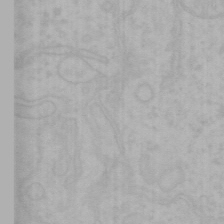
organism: Mouse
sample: Choroid plexus